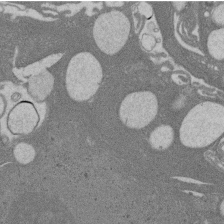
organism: Rat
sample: Salivary granule